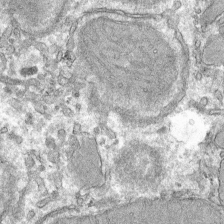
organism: Mouse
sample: Mouse hepatocytes